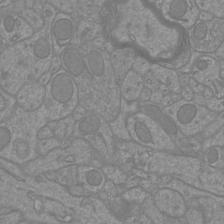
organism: Mouse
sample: Cortical neurons